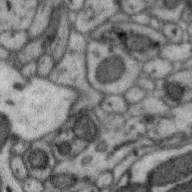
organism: Zebra finch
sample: Brain